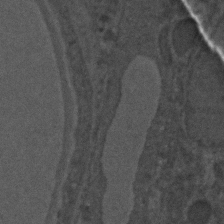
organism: C. elegans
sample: C. elegans embryo